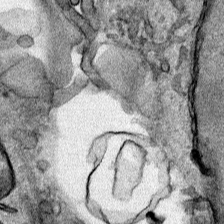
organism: Human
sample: Mitochondria in HCT116 cells